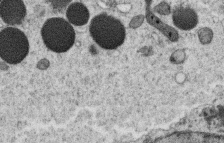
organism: C. elegans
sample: C. elegans oocyte; sperm cells